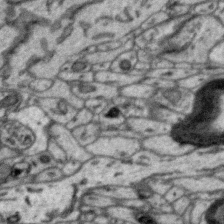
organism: Zebra finch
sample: Brain